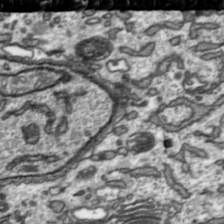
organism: Toxoplasma gondii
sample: Parasites in a vacuole inside a host cell